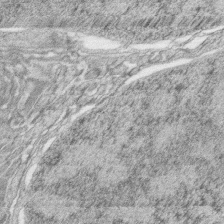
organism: Zebrafish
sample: synaptic ribbons in rod cells and cone cells